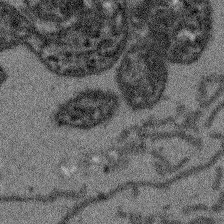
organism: Arabidopsis thaliana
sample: Root tip